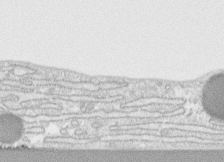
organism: Human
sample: CRL-1474